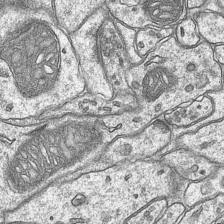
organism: Mouse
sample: CA1 Hippocampus